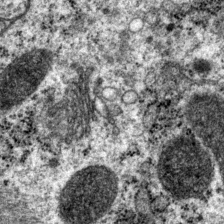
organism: P. pacificus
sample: Pharynx